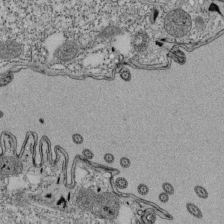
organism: Tetrahymena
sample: Cilia in tetrahymena